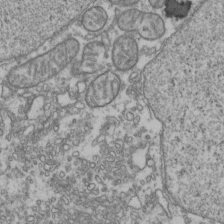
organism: Human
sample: Activated Jurkat CD4+ T cells